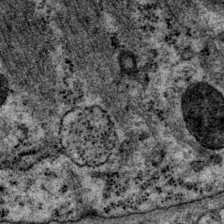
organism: P. pacificus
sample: Pharynx